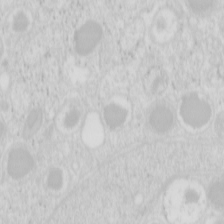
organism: Mouse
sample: Pancreas